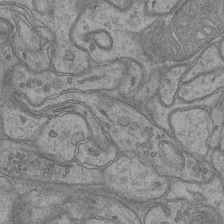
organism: Mouse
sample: CA1 Hippocampus